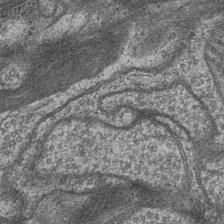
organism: Drosophila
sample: Optic medulla